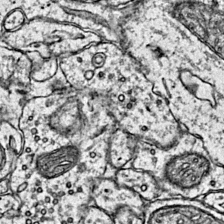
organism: Mouse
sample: Primary visual cortex